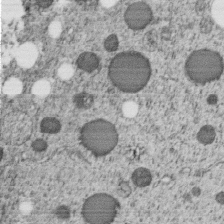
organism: C. elegans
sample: C. elegans embryo early stage